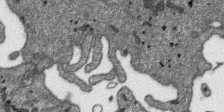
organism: Human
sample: Lung epithelial cells infected with SARS-CoV-2